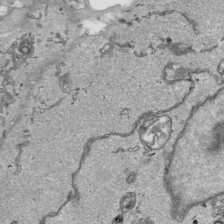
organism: Human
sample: Mitochondria in HCT116 cells